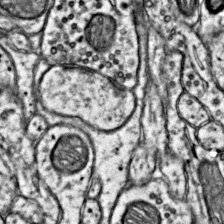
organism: Mouse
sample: Primary visual cortex